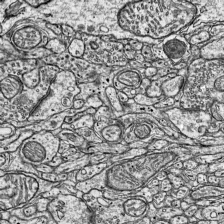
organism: Mouse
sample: Visual Cortex